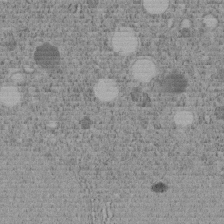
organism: C. elegans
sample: C. elegans embryo early stage